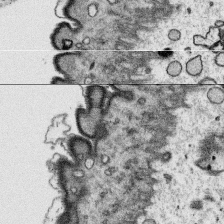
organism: Platynereis dumerilii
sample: Parapodia